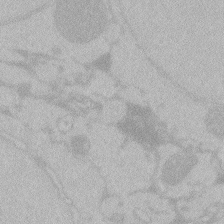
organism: Zebrafish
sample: Macrophage infected with Toxoplasma gondii